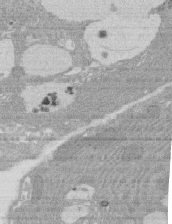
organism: Rat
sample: Salivary granule